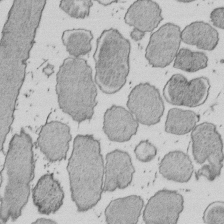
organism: E. coli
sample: Bacterial nucleoid